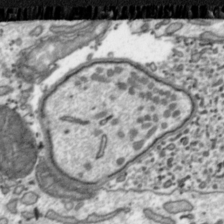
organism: Toxoplasma gondii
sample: Parasites in a vacuole inside a host cell